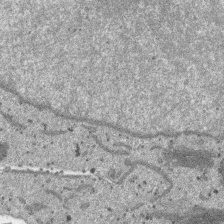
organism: Human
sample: Lung epithelial cells infected with SARS-CoV-2